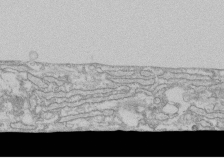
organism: Human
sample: CRL-1474